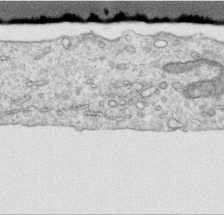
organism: Human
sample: Centriole in RPE cells